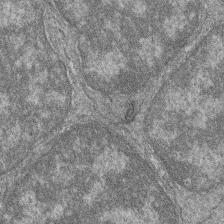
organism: Zebrafish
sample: Cilia; retinal pigment epithelium